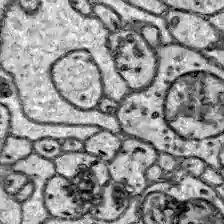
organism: Zebrafish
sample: Brain